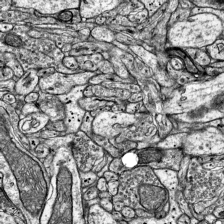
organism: Mouse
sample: Visual Cortex